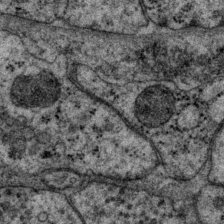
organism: P. pacificus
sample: Pharynx